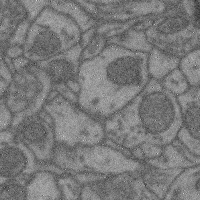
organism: Mouse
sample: Cerebral cortex